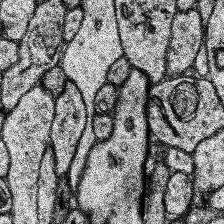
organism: Human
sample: Temporal Lobe